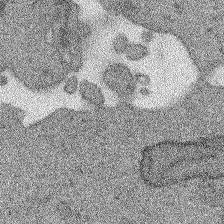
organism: Human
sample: HeLa cells